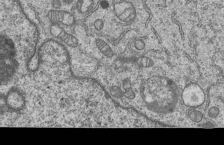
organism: Human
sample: MDA-MB-231 cells